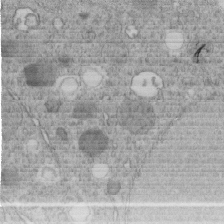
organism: C. elegans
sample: C. elegans embryo early stage